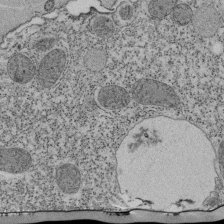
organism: Tetrahymena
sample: Cilia in tetrahymena